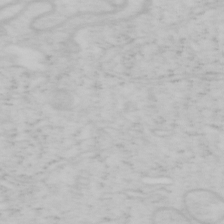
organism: Mouse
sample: OT-I killer T cells with ID8 ovarian cancer cells